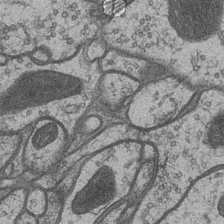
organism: Drosophila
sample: Optic medulla